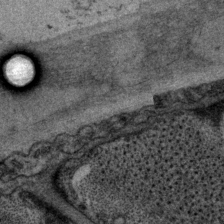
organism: P. pacificus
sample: Pharynx